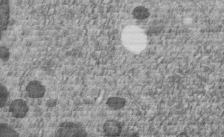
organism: C. elegans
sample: C. elegans embryo early stage